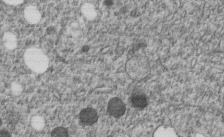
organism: C. elegans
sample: C. elegans embryo early stage